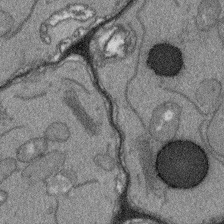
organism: Arabidopsis thaliana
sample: Root tip